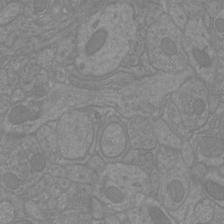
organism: Mouse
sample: Cortical neurons